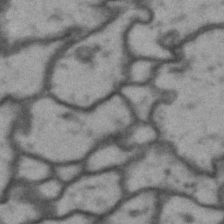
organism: Drosophila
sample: Brain